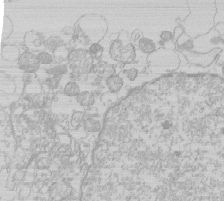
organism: Human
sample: Macrophage cells